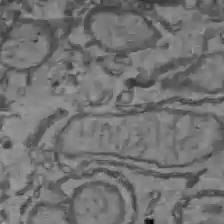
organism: C57BL Mouse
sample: Liver